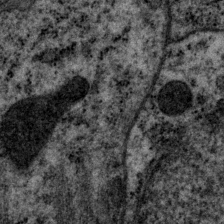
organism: P. pacificus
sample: Pharynx